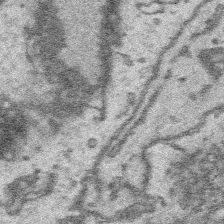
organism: Platynereis dumerilii